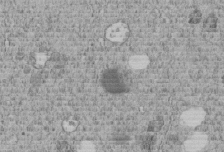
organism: C. elegans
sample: C. elegans embryo early stage